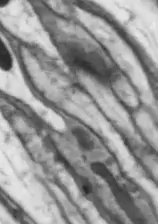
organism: Drosophila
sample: Optic lobe